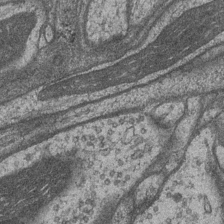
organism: Drosophila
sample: Optic medulla